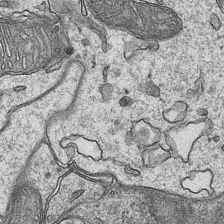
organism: Mouse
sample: CA1 Hippocampus